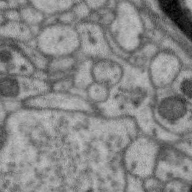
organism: Zebra finch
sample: Brain